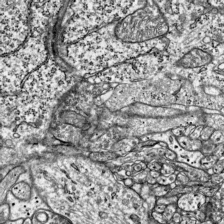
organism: Mouse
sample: Visual Cortex